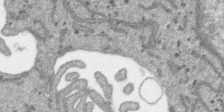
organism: Human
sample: Lung epithelial cells infected with SARS-CoV-2